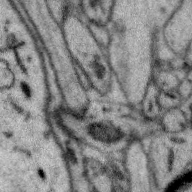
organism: Zebra finch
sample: Brain